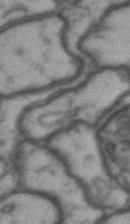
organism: Drosophila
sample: Brain